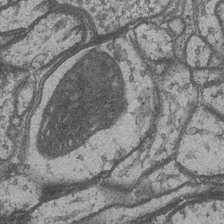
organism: Drosophila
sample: Optic medulla